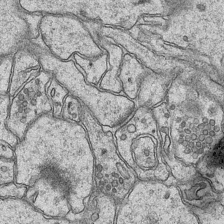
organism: Mouse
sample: CA1 Hippocampus